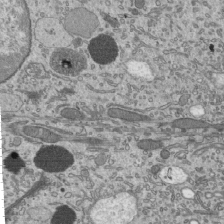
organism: Mouse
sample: Mouse epididymis efferent ductule cilia